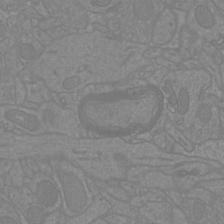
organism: Mouse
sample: Cortical neurons